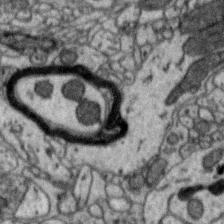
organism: Zebra finch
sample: Brain